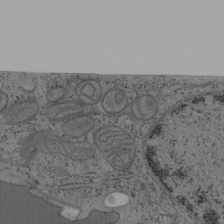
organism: Human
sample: HeLa cells